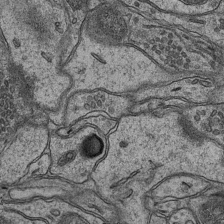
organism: Mouse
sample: CA1 Hippocampus